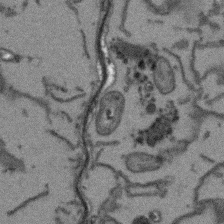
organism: Arabidopsis thaliana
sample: Root tip